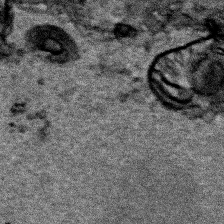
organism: Human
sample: Mitochondria in HCT116 cells